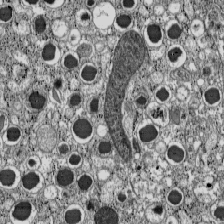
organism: C57BL Mouse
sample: Pancreatic islet